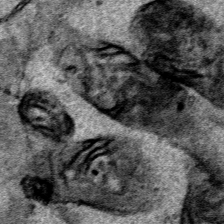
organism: Human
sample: Mitochondria in HCT116 cells